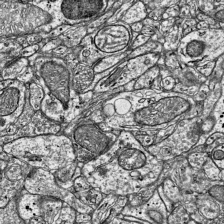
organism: Mouse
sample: Visual Cortex